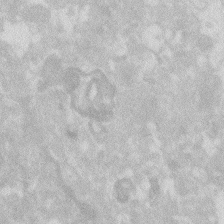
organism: Zebrafish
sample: Macrophage